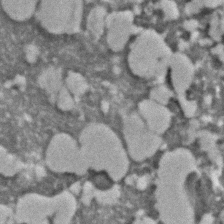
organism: C. elegans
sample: C. elegans embryo